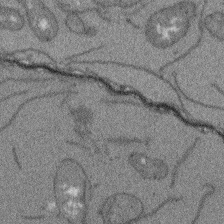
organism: Arabidopsis thaliana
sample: Root tip